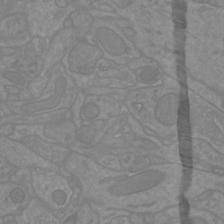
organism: Mouse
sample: Cortical neurons